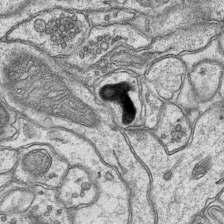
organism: Mouse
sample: CA1 Hippocampus